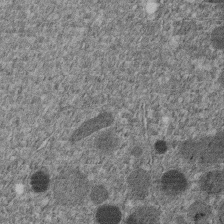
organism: C. elegans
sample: C. elegans embryo early stage